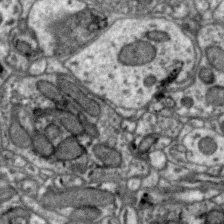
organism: Zebra finch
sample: Brain